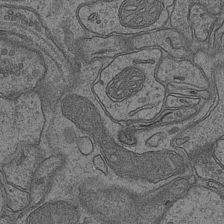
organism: Mouse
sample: CA1 Hippocampus